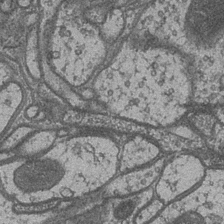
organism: Drosophila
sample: Optic medulla